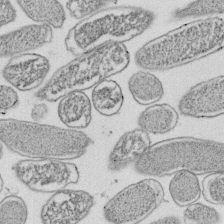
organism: E. coli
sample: Bacterial nucleoid